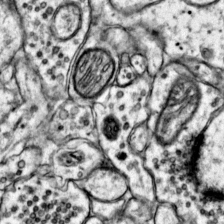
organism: Mouse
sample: Primary visual cortex